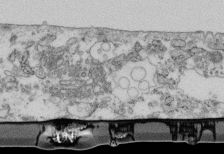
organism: Mouse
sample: Cilia; retinal pigment epithelium